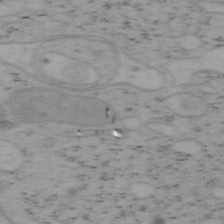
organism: Mouse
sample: OT-I killer T cells with ID8 ovarian cancer cells